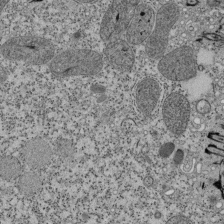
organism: Tetrahymena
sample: Cilia in tetrahymena